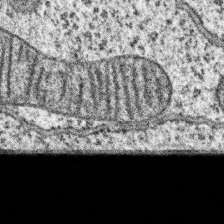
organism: Human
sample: HeLa cells